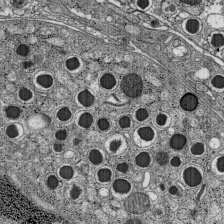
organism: C57BL Mouse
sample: Pancreatic islet